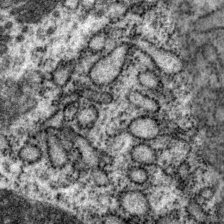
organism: P. pacificus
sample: Pharynx